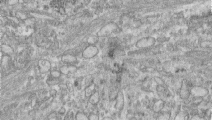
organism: Human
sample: Centriole in RPE cells